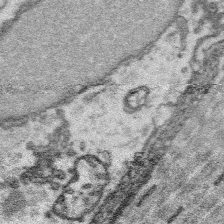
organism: Platynereis dumerilii